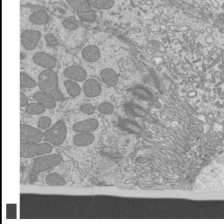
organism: Mouse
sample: Cilia; mouse epididymis